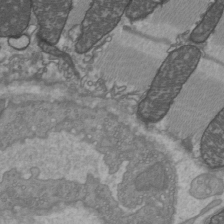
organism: C57BL Mouse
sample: Heart